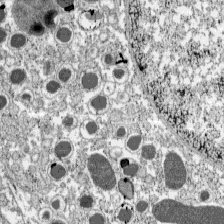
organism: C57BL Mouse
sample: Pancreatic islet